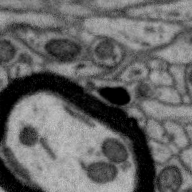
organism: Zebra finch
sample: Brain